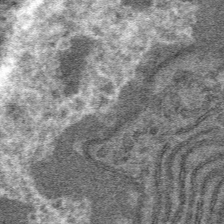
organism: Mouse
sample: Mouse hepatocytes